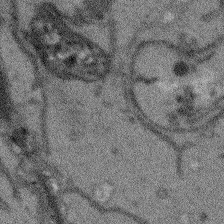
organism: Arabidopsis thaliana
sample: Root tip